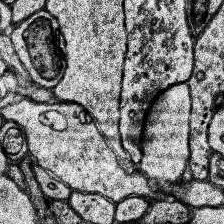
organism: Human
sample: Temporal Lobe